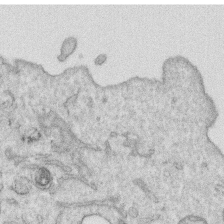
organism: Human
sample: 1205lu cells